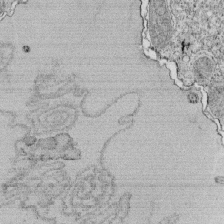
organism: Tetrahymena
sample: Cilia in tetrahymena